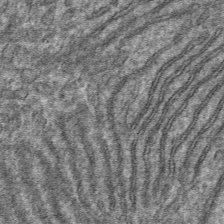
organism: Mouse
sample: Mouse hepatocytes